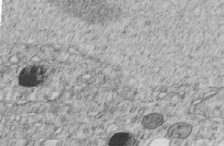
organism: C. elegans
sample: C. elegans embryo early stage